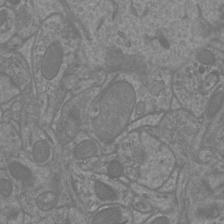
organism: Mouse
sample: Cortical neurons